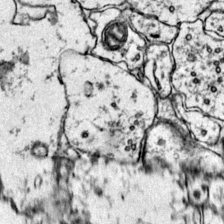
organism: Mouse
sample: Primary visual cortex